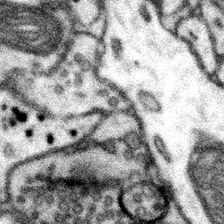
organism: Mouse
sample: Somatosensory cortex neuropil